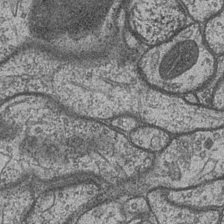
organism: Drosophila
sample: Optic medulla